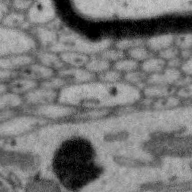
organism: Zebra finch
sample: Brain